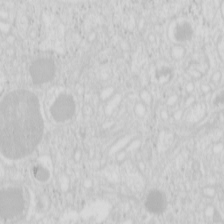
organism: Mouse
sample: Pancreas